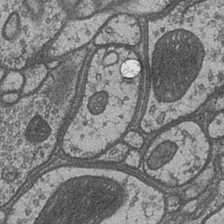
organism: Drosophila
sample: Optic medulla